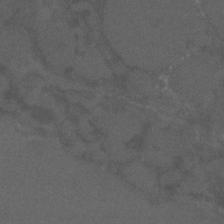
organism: C. elegans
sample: C. elegans embryo